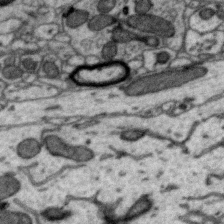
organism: Zebra finch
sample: Brain